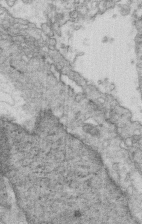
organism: Mouse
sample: Multiciliated cells